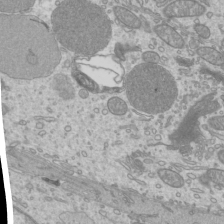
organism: Mouse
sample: Cilia; mouse epididymis